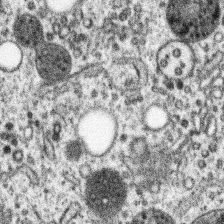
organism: Human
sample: HeLa cells